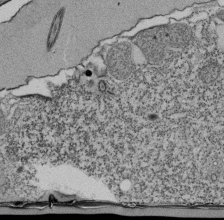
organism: Tetrahymena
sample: Cilia in tetrahymena